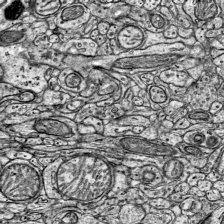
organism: Mouse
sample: Visual Cortex